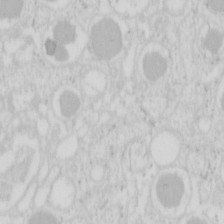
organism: Mouse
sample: Pancreas